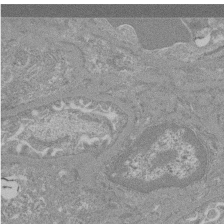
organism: Mouse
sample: Glomerulus